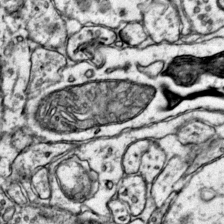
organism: Mouse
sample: Primary visual cortex